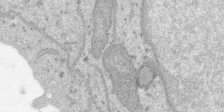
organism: Human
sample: Lung epithelial cells infected with SARS-CoV-2